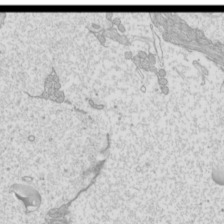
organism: Mouse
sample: Cilia; mouse epididymis